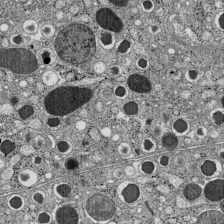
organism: C57BL Mouse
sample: Pancreatic islet